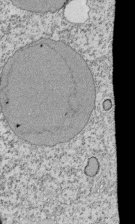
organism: Tetrahymena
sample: Cilia in tetrahymena